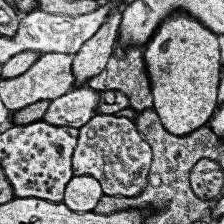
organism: Human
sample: Temporal Lobe